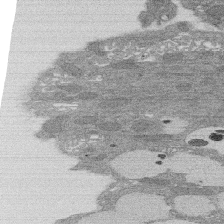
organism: Rat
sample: Salivary granule